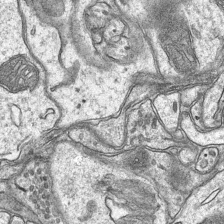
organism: Mouse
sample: CA1 Hippocampus